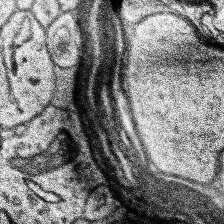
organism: Human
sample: Temporal Lobe